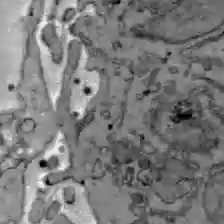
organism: C57BL Mouse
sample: Liver